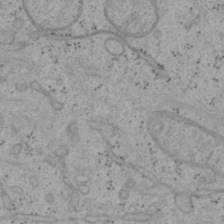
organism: Human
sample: HeLa cells